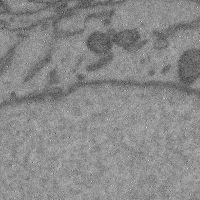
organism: Mouse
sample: Cerebral cortex